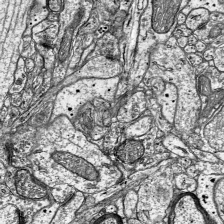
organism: Mouse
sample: Visual Cortex